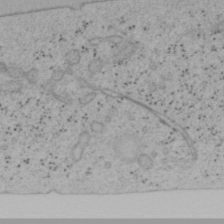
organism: Human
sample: HeLa cells